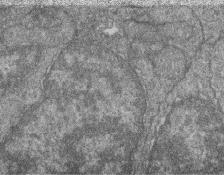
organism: Zebrafish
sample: Cilia; retinal pigment epithelium